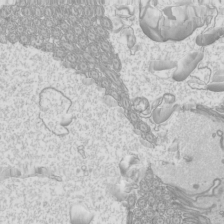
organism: Mouse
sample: Cilia; mouse epididymis